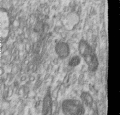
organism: Human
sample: Centriole in RPE cells